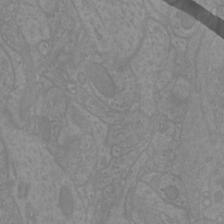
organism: Mouse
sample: Cortical neurons